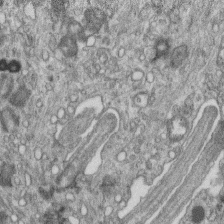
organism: Mouse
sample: Centriole in ependymal cells